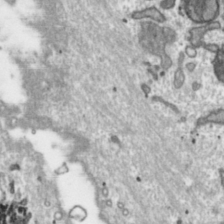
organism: Toxoplasma gondii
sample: Parasites in a vacuole inside a host cell